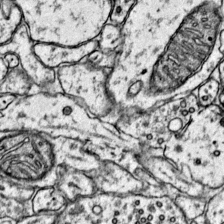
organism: Mouse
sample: Primary visual cortex